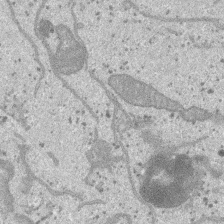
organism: Human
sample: Lung epithelial cells infected with SARS-CoV-2